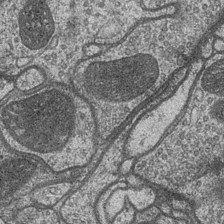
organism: Drosophila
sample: Optic medulla